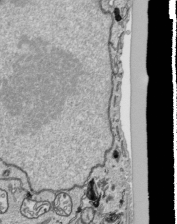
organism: Human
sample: Mitochondria in HCT116 cells